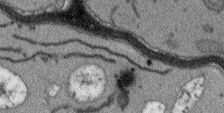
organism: Arabidopsis thaliana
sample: Root tip